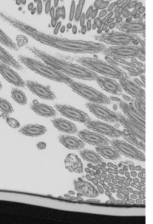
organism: Mouse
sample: Mouse epididymis efferent ductule cilia